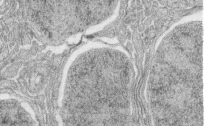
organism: Zebrafish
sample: synaptic ribbons in rod cells and cone cells